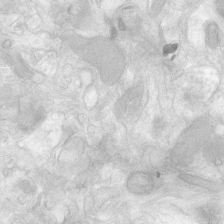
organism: Human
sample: Neocortex